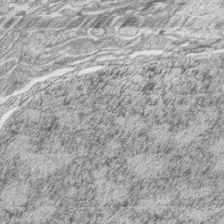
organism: Zebrafish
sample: synaptic ribbons in rod cells and cone cells